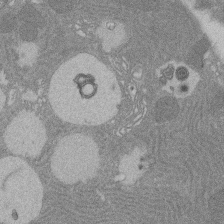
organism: Rat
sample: Salivary granule